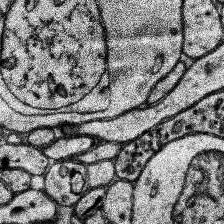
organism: Human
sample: Temporal Lobe